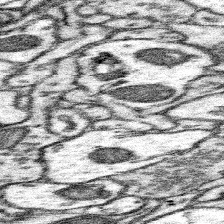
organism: Mouse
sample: Somatosensory cortex neuropil